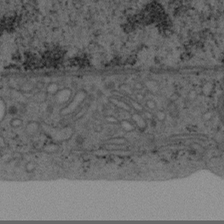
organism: Human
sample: HeLa cells